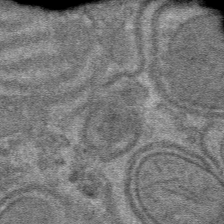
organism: Mouse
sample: Mouse hepatocytes